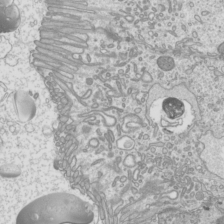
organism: Mouse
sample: Cilia; mouse epididymis